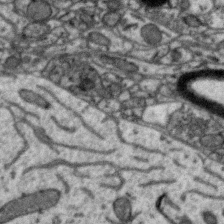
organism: Zebra finch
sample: Brain